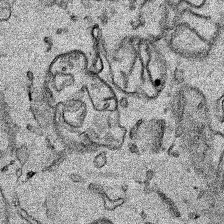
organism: Human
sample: Mitochondria in HCT116 cells